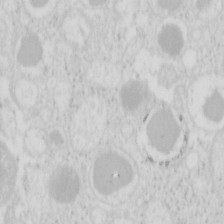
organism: Mouse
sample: Pancreas